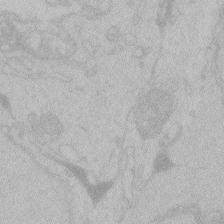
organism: Zebrafish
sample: Macrophage infected with Toxoplasma gondii